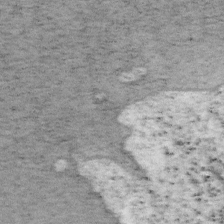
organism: Mouse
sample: OT-I killer T cells with ID8 ovarian cancer cells